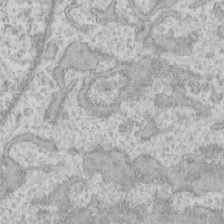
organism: Human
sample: CRL-1474